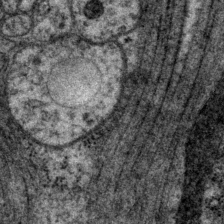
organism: P. pacificus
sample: Pharynx